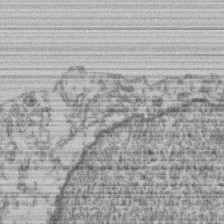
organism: Mouse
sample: T cell stromal cell synapse